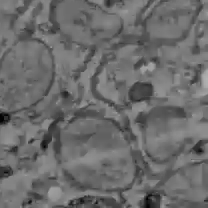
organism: C57BL Mouse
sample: Liver